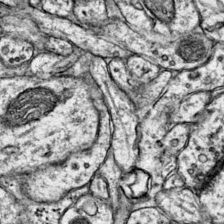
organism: Mouse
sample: Primary visual cortex